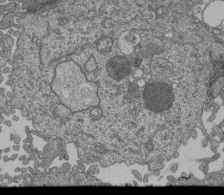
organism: Human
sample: Retinal organoid Rod and Cone cells